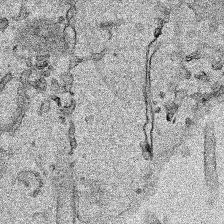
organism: Human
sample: Mitochondria in HCT116 cells